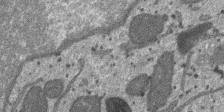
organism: Human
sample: Lung epithelial cells infected with SARS-CoV-2